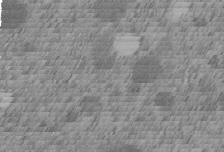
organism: C. elegans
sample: C. elegans embryo early stage